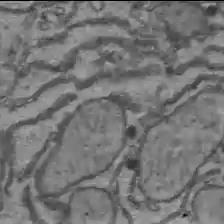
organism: C57BL Mouse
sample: Liver